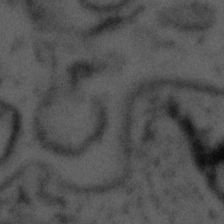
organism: Tuwongella immobilis